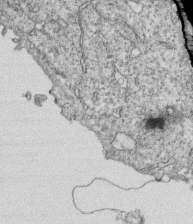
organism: Human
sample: HeLa cell HIV synapse